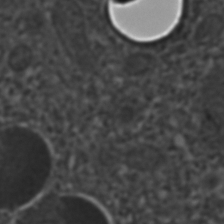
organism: C. elegans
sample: C. elegans embryo